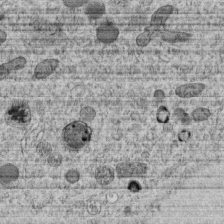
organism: C. elegans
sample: C. elegans embryo early stage